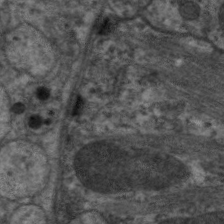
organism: C. elegans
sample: Pharynx